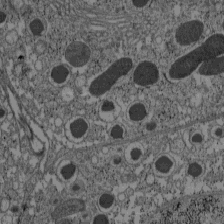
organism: C57BL Mouse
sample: Pancreatic islet